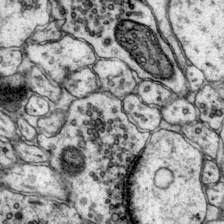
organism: Mouse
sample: Primary visual cortex